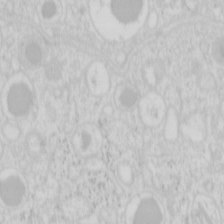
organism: Mouse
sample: Pancreas